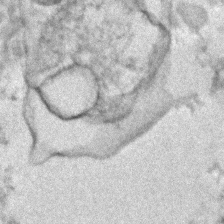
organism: Human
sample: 1205lu cells